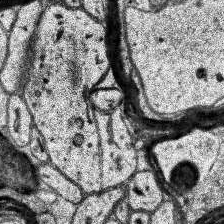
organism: Human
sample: Temporal Lobe